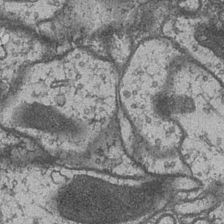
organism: Drosophila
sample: Optic medulla